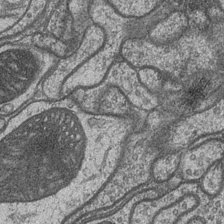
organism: Drosophila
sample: Optic medulla